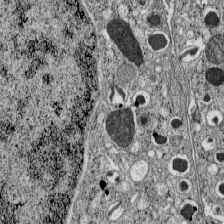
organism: C57BL Mouse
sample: Pancreatic islet